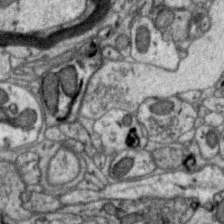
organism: Zebra finch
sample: Brain